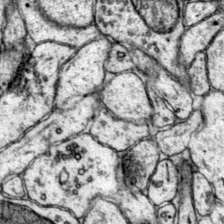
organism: Mouse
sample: Primary visual cortex